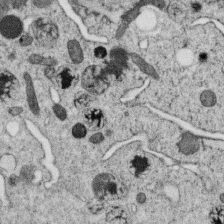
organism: C. elegans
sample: C. elegans oocyte; sperm cells